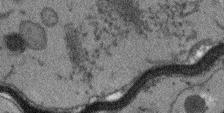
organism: Arabidopsis thaliana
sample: Root tip